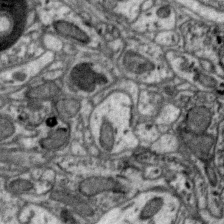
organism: Zebra finch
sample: Brain